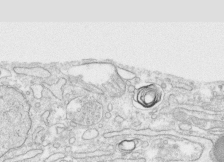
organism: Human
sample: CRL-1474